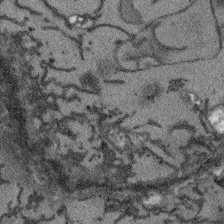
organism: Arabidopsis thaliana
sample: Root tip